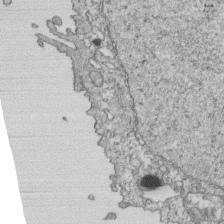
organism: Human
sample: HeLa cell HIV synapse